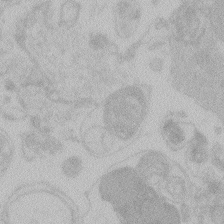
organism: Zebrafish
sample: Macrophage infected with Toxoplasma gondii